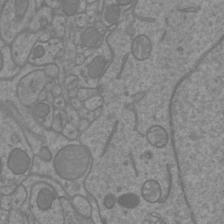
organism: Mouse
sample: Cortical neurons